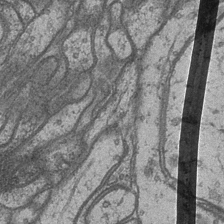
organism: Drosophila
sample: Optic medulla